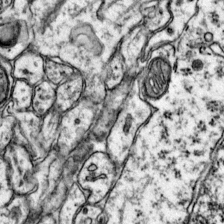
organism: Mouse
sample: Primary visual cortex